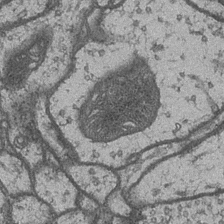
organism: Drosophila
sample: Optic medulla